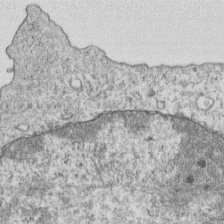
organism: Mouse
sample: Activated OT-1 CD8+ T cells